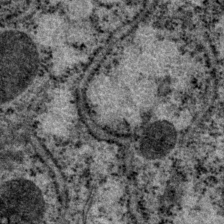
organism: P. pacificus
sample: Pharynx